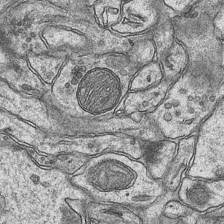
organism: Mouse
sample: CA1 Hippocampus